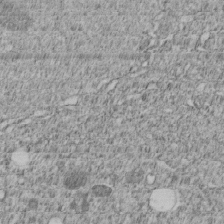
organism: C. elegans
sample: C. elegans embryo early stage